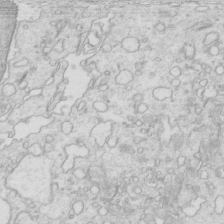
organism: Mouse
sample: Multiciliated cells